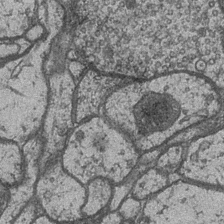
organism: Drosophila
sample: Optic medulla